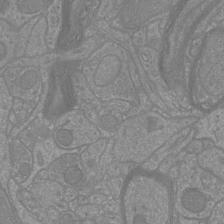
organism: Mouse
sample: Cortical neurons